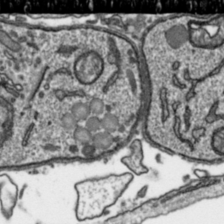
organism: Toxoplasma gondii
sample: Parasites in a vacuole inside a host cell